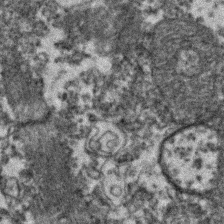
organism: Zebrafish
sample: Zebrafish embryo